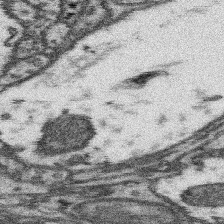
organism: Mouse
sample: Somatosensory cortex neuropil